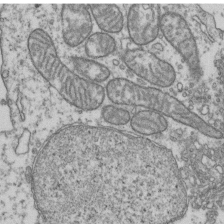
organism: Human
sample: Activated Jurkat CD4+ T cells